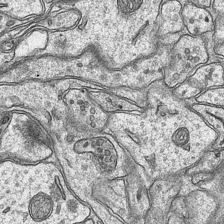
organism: Mouse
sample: CA1 Hippocampus